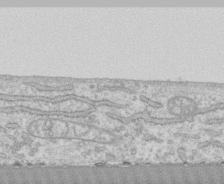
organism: Human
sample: CRL-1474